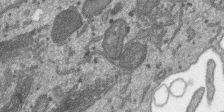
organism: Human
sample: Lung epithelial cells infected with SARS-CoV-2